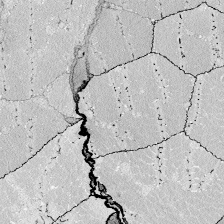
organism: Zebrafish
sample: Whole-Brain